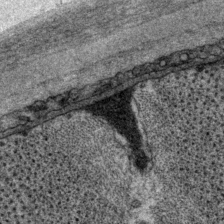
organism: P. pacificus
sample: Pharynx